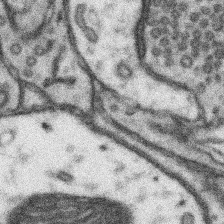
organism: Mouse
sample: Somatosensory cortex neuropil